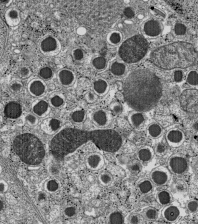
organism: C57BL Mouse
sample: Pancreatic islet